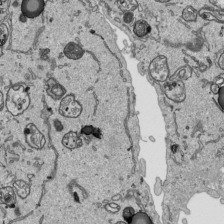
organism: Human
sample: Mitochondria in HCT116 cells